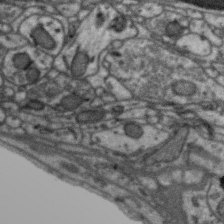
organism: Zebra finch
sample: Brain